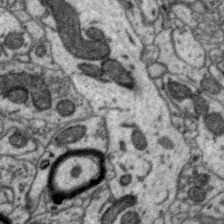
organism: Zebra finch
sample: Brain